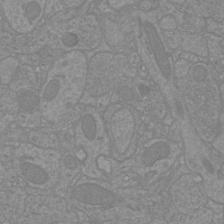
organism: Mouse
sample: Cortical neurons